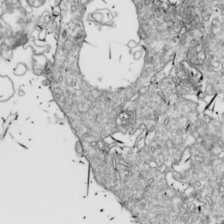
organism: Drosophila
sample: Cell division; meiosis; drosophila spermatocytes